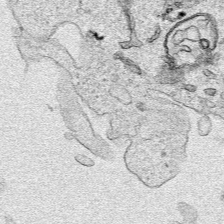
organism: Human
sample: Mitochondria in HCT116 cells